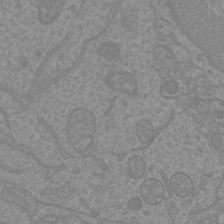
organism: Mouse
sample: Cortical neurons